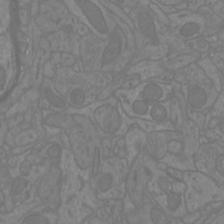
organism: Mouse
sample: Cortical neurons